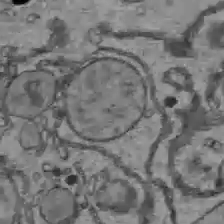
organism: C57BL Mouse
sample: Liver